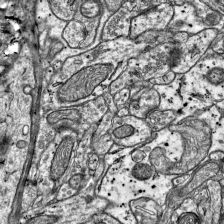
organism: Mouse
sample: Visual Cortex